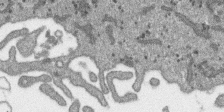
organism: Human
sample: Lung epithelial cells infected with SARS-CoV-2